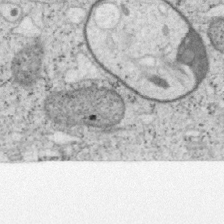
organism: Mouse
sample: OT-I killer T cells with ID8 ovarian cancer cells